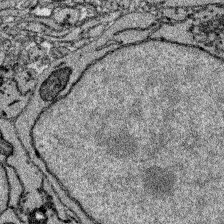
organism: Zebrafish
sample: Larval olfactory bulb